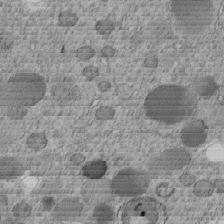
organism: C. elegans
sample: C. elegans embryo early stage